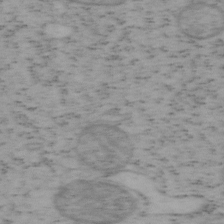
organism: Mouse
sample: OT-I killer T cells with ID8 ovarian cancer cells